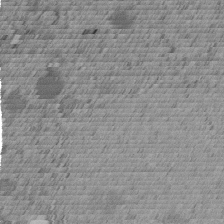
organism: C. elegans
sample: C. elegans embryo early stage